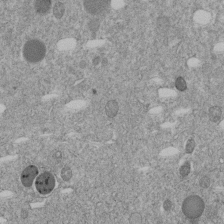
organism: C. elegans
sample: C. elegans embryo early stage